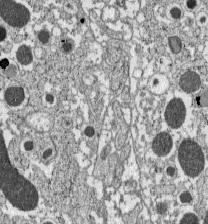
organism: C57BL Mouse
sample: Pancreatic islet